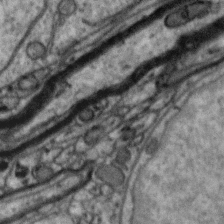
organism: Zebra finch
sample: Brain